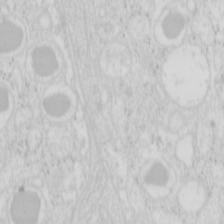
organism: Mouse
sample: Pancreas